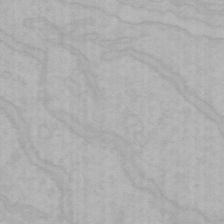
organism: Mouse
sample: Choroid plexus